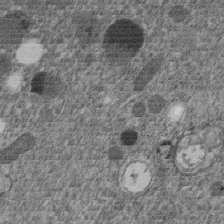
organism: C. elegans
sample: C. elegans embryo early stage